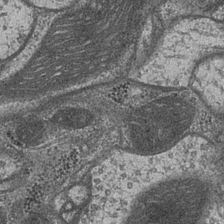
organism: Drosophila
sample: Optic medulla